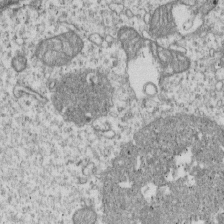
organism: Human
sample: MDA-MB-231 cells